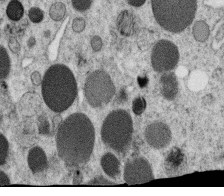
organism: C. elegans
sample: C. elegans oocyte; sperm cells